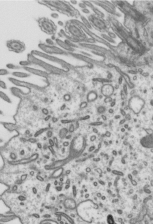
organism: Mouse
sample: Mouse epididymis efferent ductule cilia